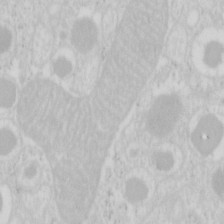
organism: Mouse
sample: Pancreas